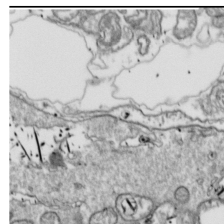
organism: Drosophila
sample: Cell division; meiosis; drosophila spermatocytes